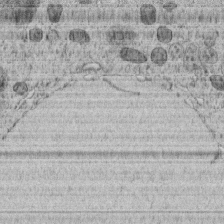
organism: C. elegans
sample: C. elegans embryo early stage